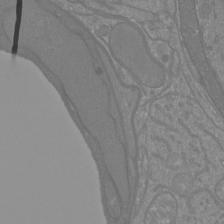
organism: Mouse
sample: Cortical neurons